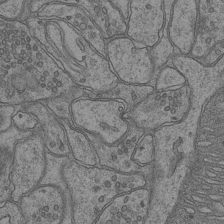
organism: Mouse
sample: CA1 Hippocampus